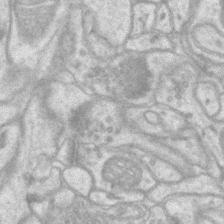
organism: Mouse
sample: CA1 Hippocampus